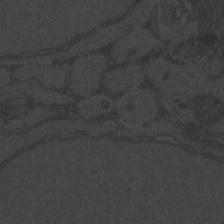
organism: Zebrafish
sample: Macrophage infected with Toxoplasma gondii